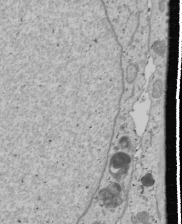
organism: Human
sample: Mitochondria in U2OS cells